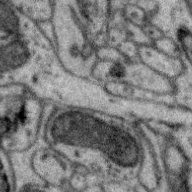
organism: Zebra finch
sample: Brain